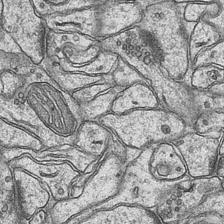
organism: Mouse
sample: CA1 Hippocampus